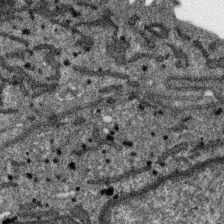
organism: Human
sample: Lung epithelial cells infected with SARS-CoV-2